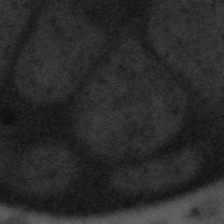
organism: Tuwongella immobilis